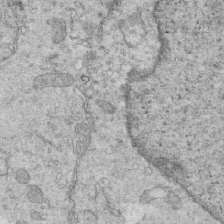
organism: Mouse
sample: Multiciliated cells